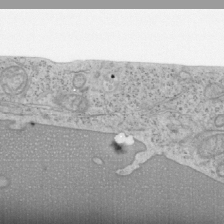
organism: Human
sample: HeLa cells